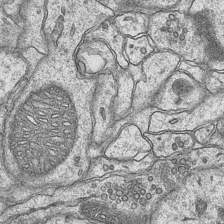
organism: Mouse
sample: CA1 Hippocampus